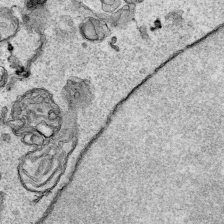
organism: Human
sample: Mitochondria in HCT116 cells